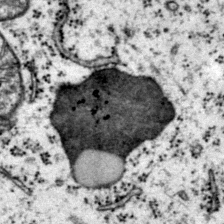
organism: Mouse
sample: Primary visual cortex